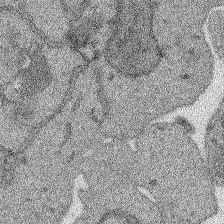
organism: Human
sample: HeLa cells